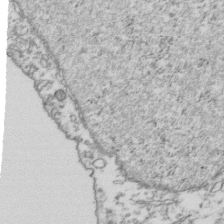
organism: Human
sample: Activated Jurkat CD4+ T cells